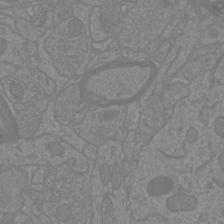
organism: Mouse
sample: Cortical neurons